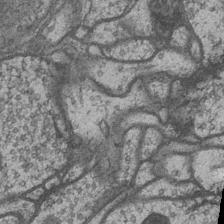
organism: Drosophila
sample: Optic medulla